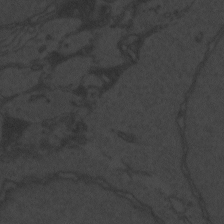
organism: Zebrafish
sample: Macrophage infected with Toxoplasma gondii